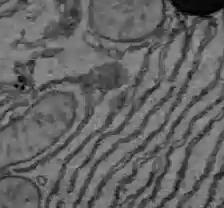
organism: C57BL Mouse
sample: Liver